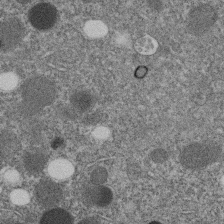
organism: C. elegans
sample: C. elegans embryo early stage